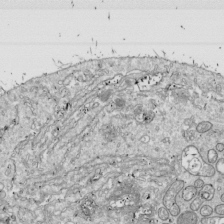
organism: Drosophila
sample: Cell division; meiosis; drosophila spermatocytes